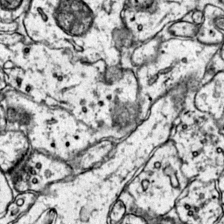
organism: Mouse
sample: Primary visual cortex